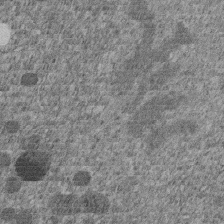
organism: C. elegans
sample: C. elegans embryo early stage